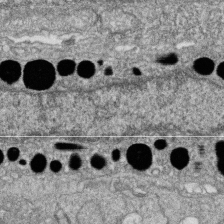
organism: Zebrafish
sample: Cilia; retinal pigment epithelium